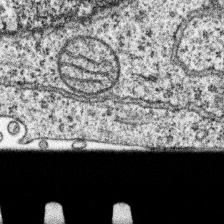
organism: Human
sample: HeLa cells